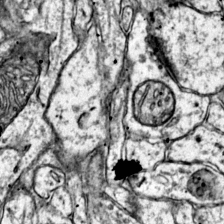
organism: Mouse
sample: Primary visual cortex